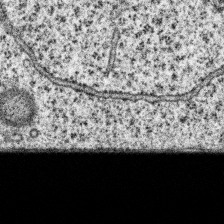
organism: Human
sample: HeLa cells